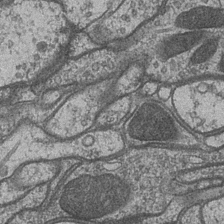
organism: Drosophila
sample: Optic medulla